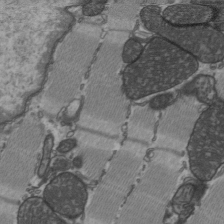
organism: C57BL Mouse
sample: Heart